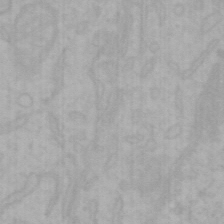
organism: Mouse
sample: Choroid plexus